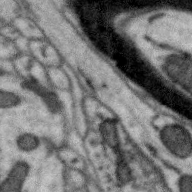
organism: Zebra finch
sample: Brain